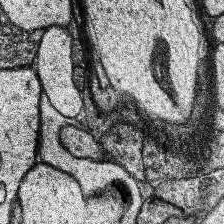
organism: Human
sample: Temporal Lobe